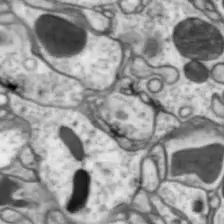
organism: Drosophila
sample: Optic lobe